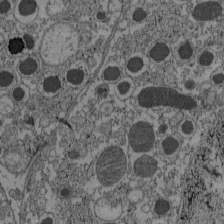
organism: C57BL Mouse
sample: Pancreatic islet